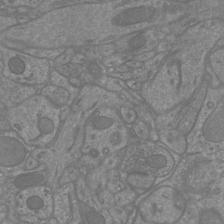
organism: Mouse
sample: Cortical neurons